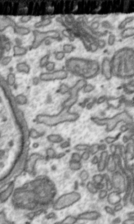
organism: Toxoplasma gondii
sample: Parasites in a vacuole inside a host cell